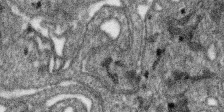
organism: Human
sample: Lung epithelial cells infected with SARS-CoV-2